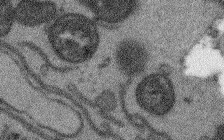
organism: Arabidopsis thaliana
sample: Root tip